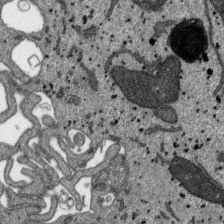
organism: Human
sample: Lung epithelial cells, uninfected (mock) control